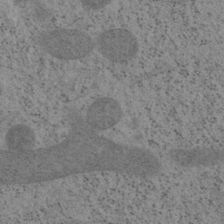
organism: Mouse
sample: OT-I killer T cells with ID8 ovarian cancer cells